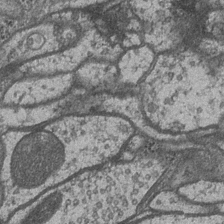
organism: Drosophila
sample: Optic medulla